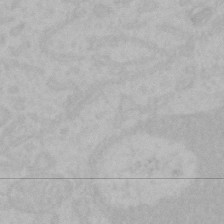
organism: Mouse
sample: Choroid plexus